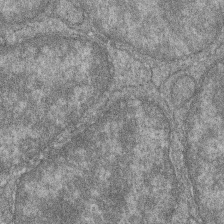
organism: Zebrafish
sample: Cilia; retinal pigment epithelium